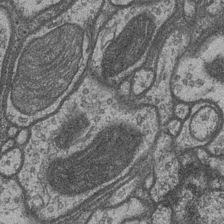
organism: Drosophila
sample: Optic medulla